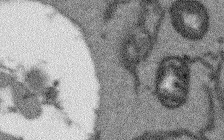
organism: Arabidopsis thaliana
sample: Root tip